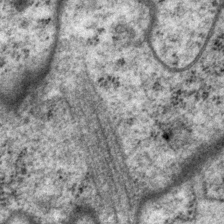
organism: P. pacificus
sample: Pharynx